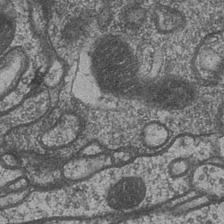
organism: Drosophila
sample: Optic medulla